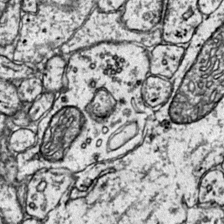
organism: Mouse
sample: Primary visual cortex